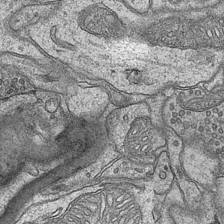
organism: Mouse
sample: CA1 Hippocampus